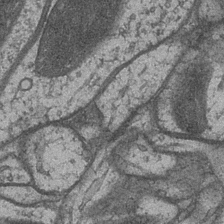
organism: Drosophila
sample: Optic medulla